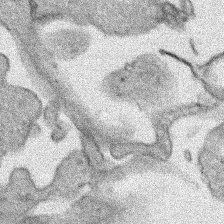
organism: Human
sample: Mitochondria in HCT116 cells